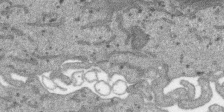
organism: Human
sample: Lung epithelial cells infected with SARS-CoV-2